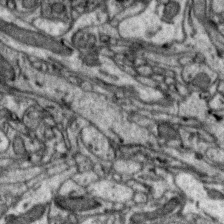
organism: Zebra finch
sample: Brain